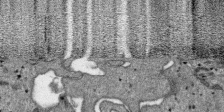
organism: Human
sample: Lung epithelial cells, uninfected (mock) control